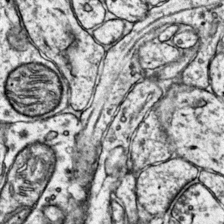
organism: Mouse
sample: Primary visual cortex